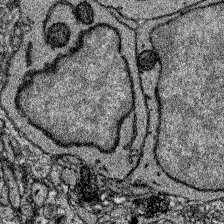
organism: Zebrafish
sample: Larval olfactory bulb